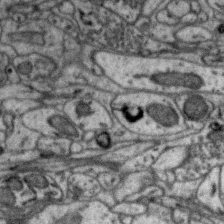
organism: Zebra finch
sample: Brain